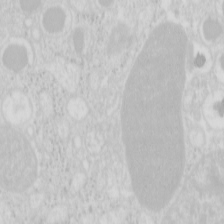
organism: Mouse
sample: Pancreas